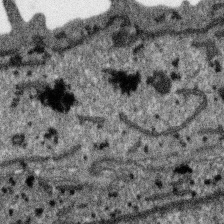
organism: Human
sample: Lung epithelial cells infected with SARS-CoV-2